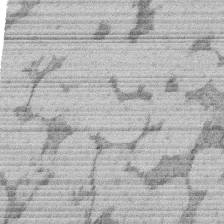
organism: Rat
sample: Salivary granule